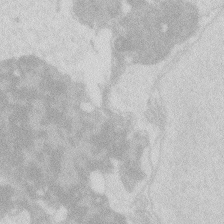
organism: Zebrafish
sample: Macrophage